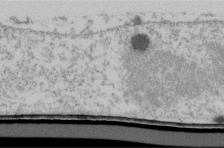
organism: Human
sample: U2-OS cells